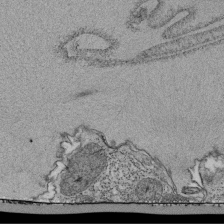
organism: Tetrahymena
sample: Cilia in tetrahymena